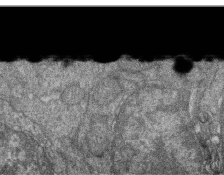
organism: Zebrafish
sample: Cilia; retinal pigment epithelium